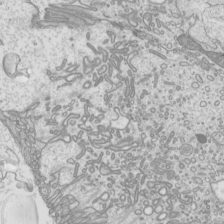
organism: Mouse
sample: Cilia; mouse epididymis